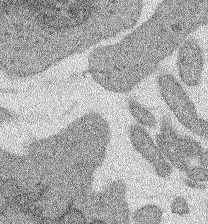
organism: Human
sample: HeLa cells